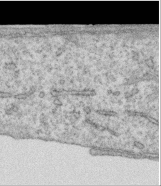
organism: Human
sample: Centriole in RPE cells